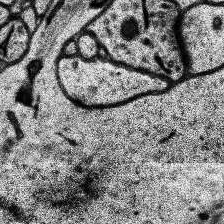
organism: Human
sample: Temporal Lobe